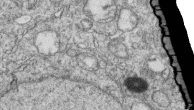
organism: Human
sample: HeLa cell HIV synapse